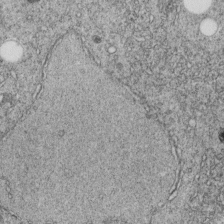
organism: C. elegans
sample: C. elegans embryo early stage